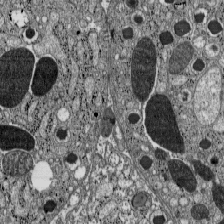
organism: C57BL Mouse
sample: Pancreatic islet